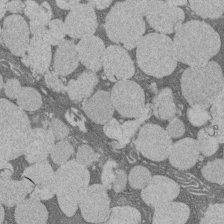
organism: Rat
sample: Salivary granule